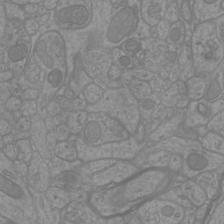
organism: Mouse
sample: Cortical neurons